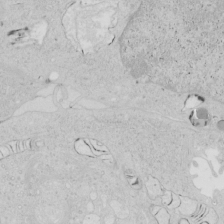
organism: Human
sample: Mitochondria in HCT116 cells